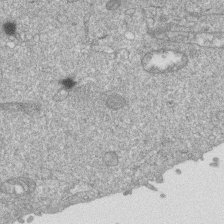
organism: Human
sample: HeLa cell HIV synapse